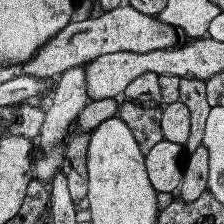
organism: Human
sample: Temporal Lobe